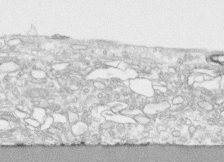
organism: Human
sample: CRL-1474